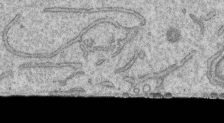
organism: Human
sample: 1205lu cells